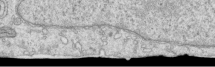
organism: Human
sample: Centriole in RPE cells